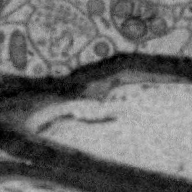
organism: Zebra finch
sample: Brain